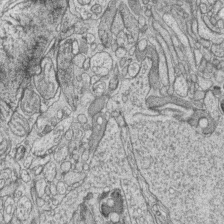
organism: Zebrafish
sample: synaptic ribbons in rod cells and cone cells